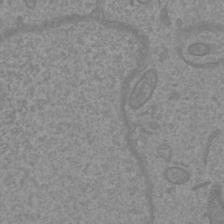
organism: Mouse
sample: Cortical neurons